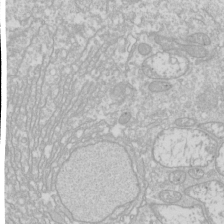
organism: Drosophila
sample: Cell division; meiosis; drosophila spermatocytes